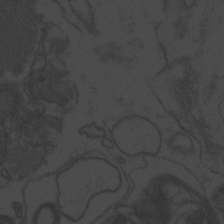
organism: Zebrafish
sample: Macrophage infected with Toxoplasma gondii